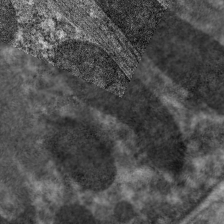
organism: C. elegans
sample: Pharynx